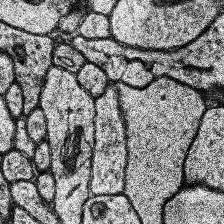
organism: Human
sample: Temporal Lobe